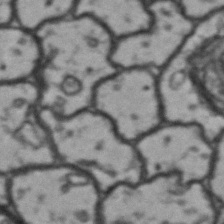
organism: Drosophila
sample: Brain